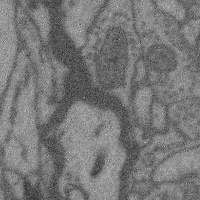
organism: Mouse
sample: Cerebral cortex